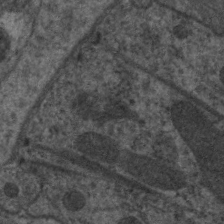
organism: C. elegans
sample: Pharynx